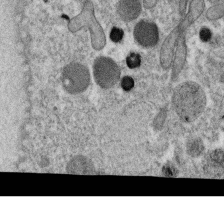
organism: C. elegans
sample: C. elegans oocyte; sperm cells